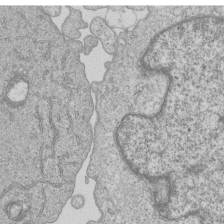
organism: Human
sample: MDA-MB-231 cells